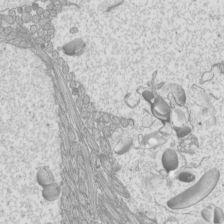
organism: Mouse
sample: Cilia; mouse epididymis